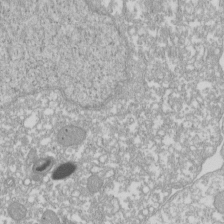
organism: Xenopus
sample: Cilia; centrioles in frog embryo cells